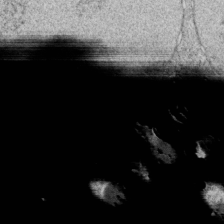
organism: C. elegans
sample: C. elegans embryo early stage